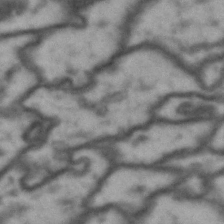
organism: Drosophila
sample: Brain